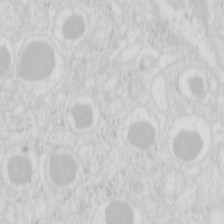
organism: Mouse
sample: Pancreas